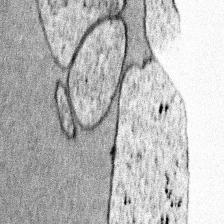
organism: Human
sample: HeLa cells